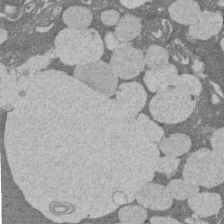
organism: Rat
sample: Salivary granule